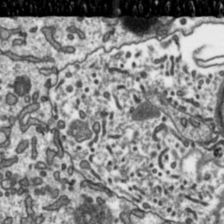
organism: Toxoplasma gondii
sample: Parasites in a vacuole inside a host cell